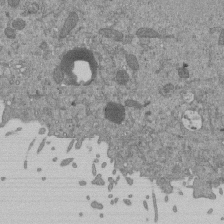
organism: Mouse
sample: ED-1 cell nuclei; centrioles